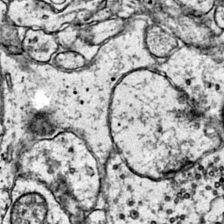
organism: Mouse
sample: Primary visual cortex